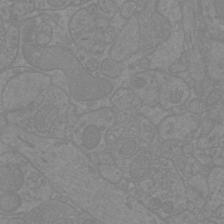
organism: Mouse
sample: Cortical neurons